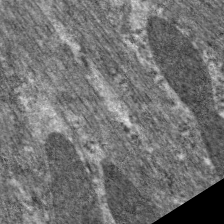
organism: C. elegans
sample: Pharynx